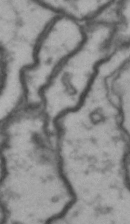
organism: Drosophila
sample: Brain